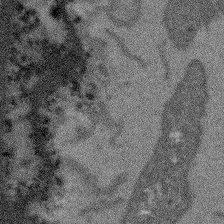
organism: Arabidopsis thaliana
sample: Root tip